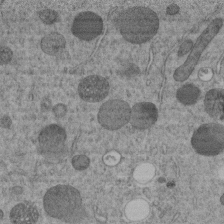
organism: C. elegans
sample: C. elegans embryo early stage